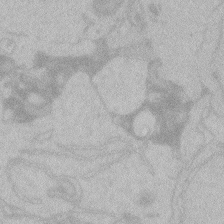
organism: Zebrafish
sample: Macrophage infected with Toxoplasma gondii